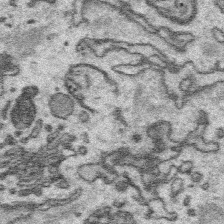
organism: Platynereis dumerilii